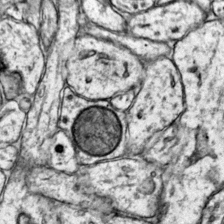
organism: Mouse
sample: Primary visual cortex